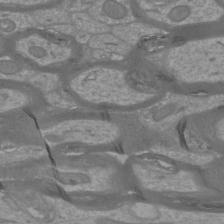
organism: Mouse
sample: Cortical neurons